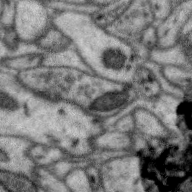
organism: Zebra finch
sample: Brain